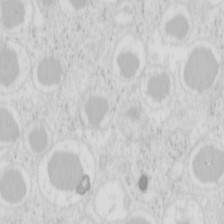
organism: Mouse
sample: Pancreas